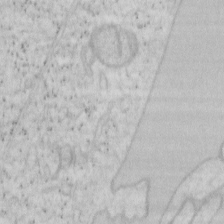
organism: Human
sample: HeLa cells